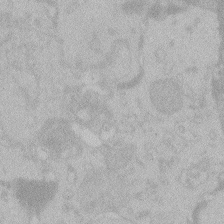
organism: Zebrafish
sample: Macrophage infected with Toxoplasma gondii